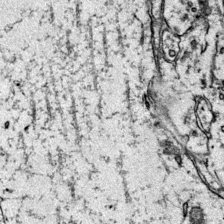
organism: Mouse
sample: Primary visual cortex